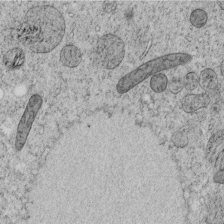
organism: C. elegans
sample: C. elegans embryo early stage